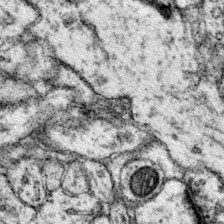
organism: Mouse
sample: Primary visual cortex